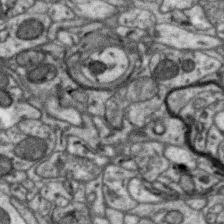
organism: Zebra finch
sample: Brain